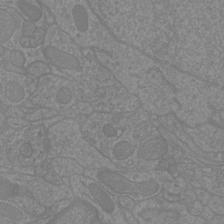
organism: Mouse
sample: Cortical neurons